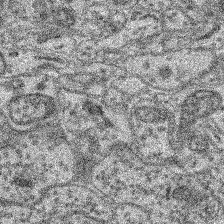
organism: Mouse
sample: Retina